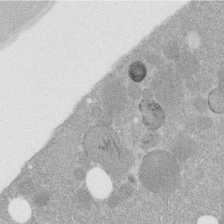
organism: C. elegans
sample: C. elegans embryo early stage